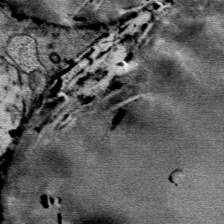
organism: Mouse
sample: Mouse Salivary gland